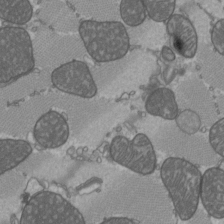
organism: C57BL Mouse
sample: Heart